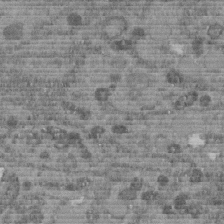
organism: C. elegans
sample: C. elegans embryo early stage